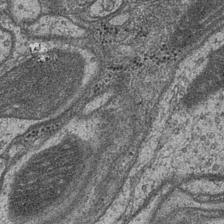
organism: Drosophila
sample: Optic medulla